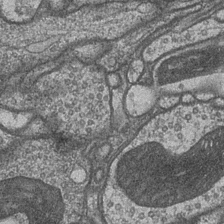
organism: Drosophila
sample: Optic medulla